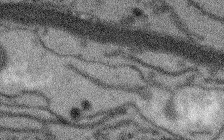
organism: Arabidopsis thaliana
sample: Root tip